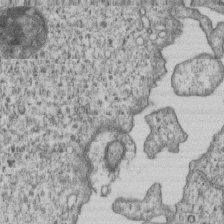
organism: Human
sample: MDA-MB-231 cells